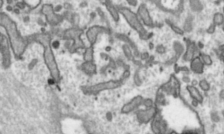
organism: Toxoplasma gondii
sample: Parasites in a vacuole inside a host cell